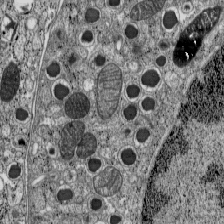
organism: C57BL Mouse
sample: Pancreatic islet